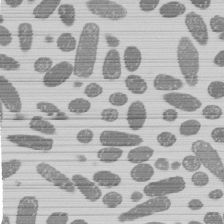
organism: E. coli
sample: Bacterial nucleoid